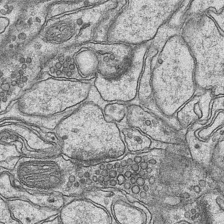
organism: Mouse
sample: CA1 Hippocampus